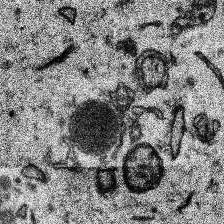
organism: Human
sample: Temporal Lobe